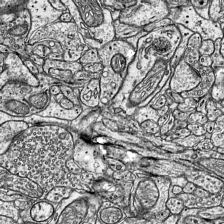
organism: Mouse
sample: Visual Cortex